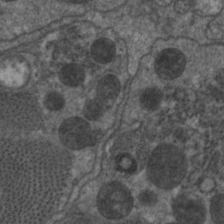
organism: C. elegans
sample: Pharynx